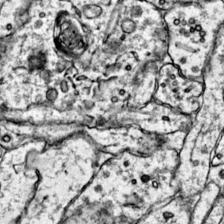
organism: Mouse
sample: Primary visual cortex